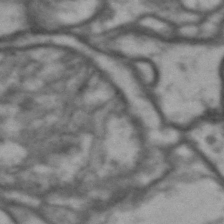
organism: Drosophila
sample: Brain